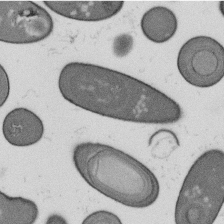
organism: B. subtilis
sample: Bacterial spore